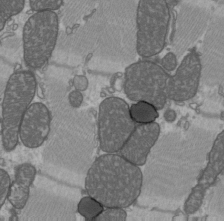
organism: C57BL Mouse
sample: Heart